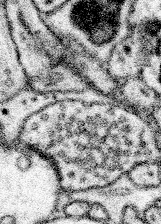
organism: Mouse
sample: Somatosensory cortex neuropil